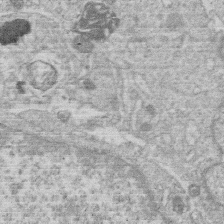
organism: Human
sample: Macrophage cells